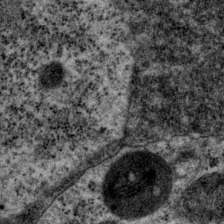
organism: P. pacificus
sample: Pharynx